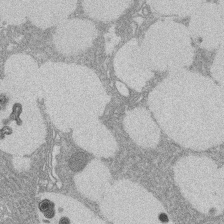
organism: Rat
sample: Salivary granule